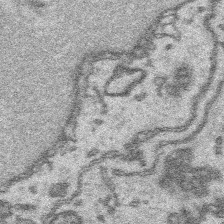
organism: Platynereis dumerilii